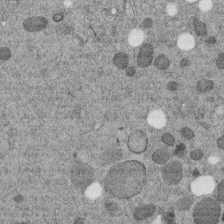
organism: C. elegans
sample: C. elegans embryo early stage